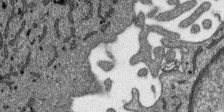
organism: Human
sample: Lung epithelial cells infected with SARS-CoV-2